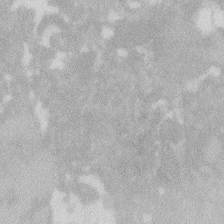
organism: Zebrafish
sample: Macrophage